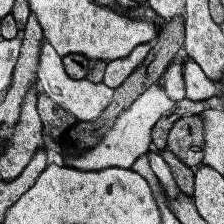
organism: Human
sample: Temporal Lobe